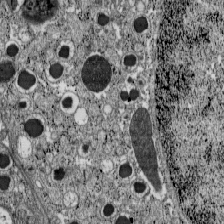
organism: C57BL Mouse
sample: Pancreatic islet